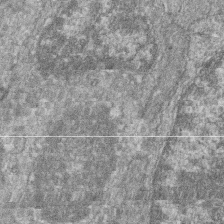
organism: Zebrafish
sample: Cilia; retinal pigment epithelium